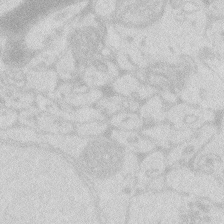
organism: Zebrafish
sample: Macrophage